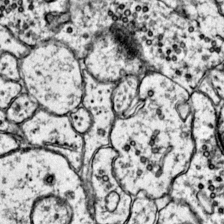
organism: Mouse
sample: Primary visual cortex